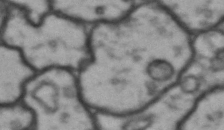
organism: Drosophila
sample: Brain